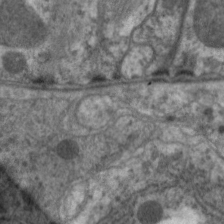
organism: C. elegans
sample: Pharynx